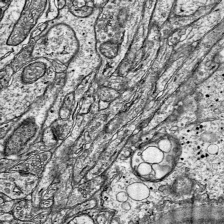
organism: Mouse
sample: Visual Cortex